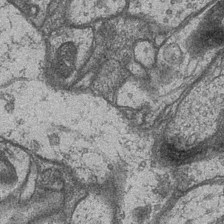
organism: Drosophila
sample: Optic medulla